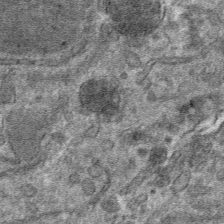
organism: Mouse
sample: Mouse hepatocytes